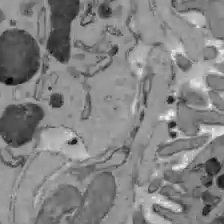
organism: C57BL Mouse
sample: Liver